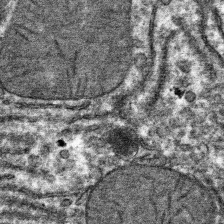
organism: Mouse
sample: Mouse hepatocytes